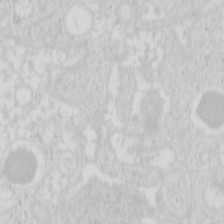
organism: Mouse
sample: Pancreas